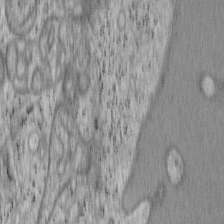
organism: Human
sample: HeLa cells